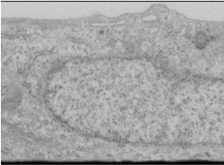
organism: Human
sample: Cilia; basal body in RPE cells